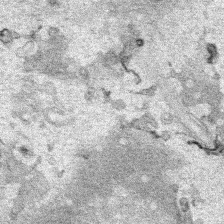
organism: Human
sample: Mitochondria in HCT116 cells